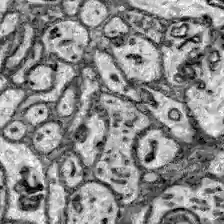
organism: Zebrafish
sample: Brain